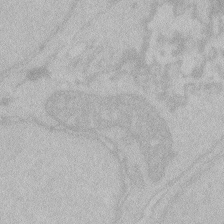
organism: Zebrafish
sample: Macrophage infected with Toxoplasma gondii